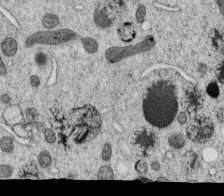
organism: C. elegans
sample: C. elegans oocyte; sperm cells